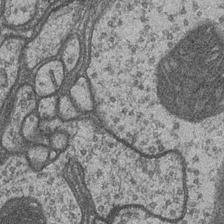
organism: Drosophila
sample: Optic medulla